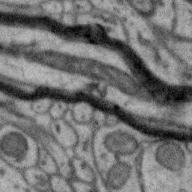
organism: Zebra finch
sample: Brain